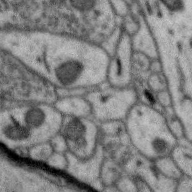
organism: Zebra finch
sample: Brain